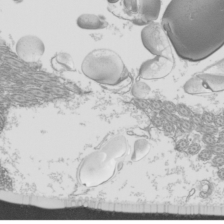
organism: Mouse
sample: Cilia; mouse epididymis